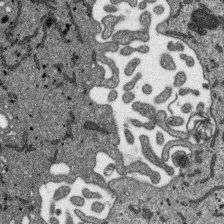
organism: Human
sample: Lung epithelial cells infected with SARS-CoV-2